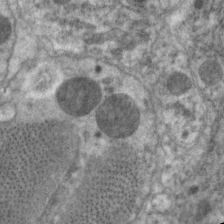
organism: C. elegans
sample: Pharynx